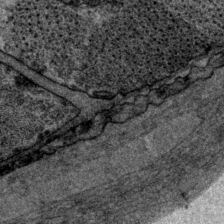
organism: P. pacificus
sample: Pharynx